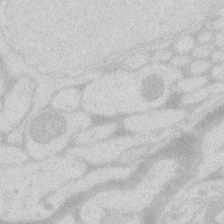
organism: Zebrafish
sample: Macrophage